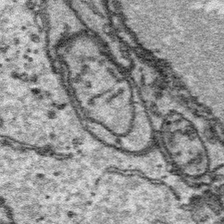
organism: Platynereis dumerilii